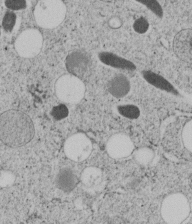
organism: C. elegans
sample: C. elegans embryo early stage